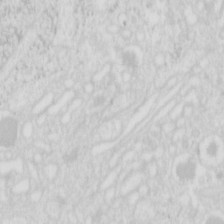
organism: Mouse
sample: Pancreas